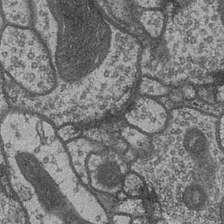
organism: Drosophila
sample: Optic medulla